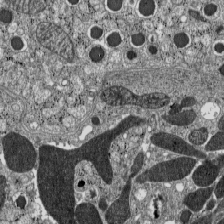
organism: C57BL Mouse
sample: Pancreatic islet